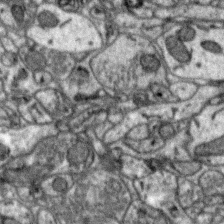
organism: Zebra finch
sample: Brain